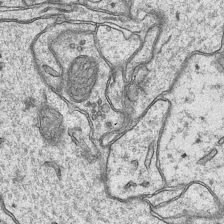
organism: Mouse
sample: CA1 Hippocampus